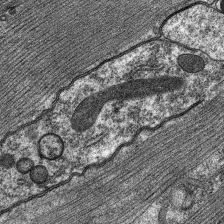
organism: C. elegans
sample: Pharynx